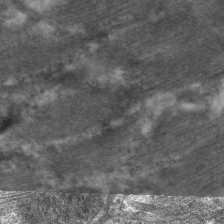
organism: C. elegans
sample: Pharynx